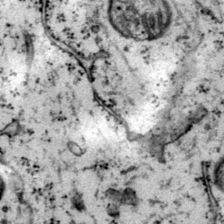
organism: Mouse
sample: Primary visual cortex